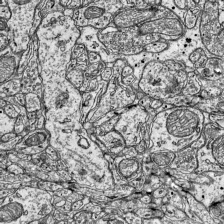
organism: Mouse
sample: Visual Cortex